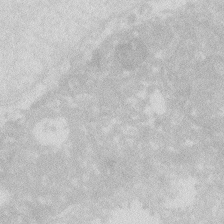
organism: Zebrafish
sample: Macrophage